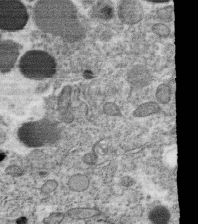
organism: C. elegans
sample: C. elegans oocyte; sperm cells